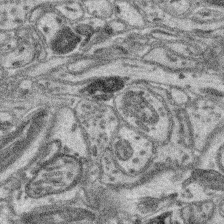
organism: Mouse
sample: Retina